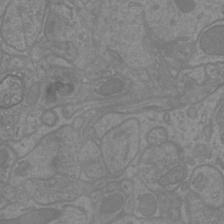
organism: Mouse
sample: Cortical neurons